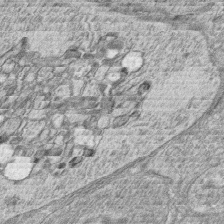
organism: Zebrafish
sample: synaptic ribbons in rod cells and cone cells